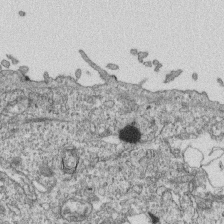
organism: Human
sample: HeLa cell HIV synapse